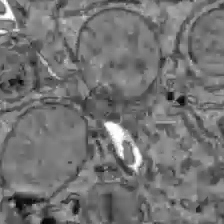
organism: C57BL Mouse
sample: Liver